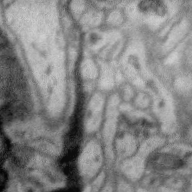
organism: Zebra finch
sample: Brain